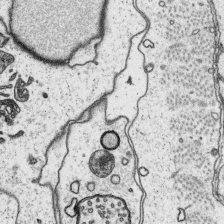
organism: Platynereis dumerilii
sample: Parapodia